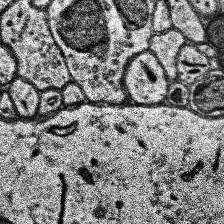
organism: Human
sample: Temporal Lobe